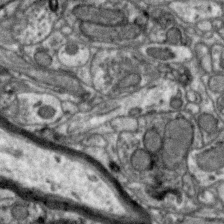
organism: Zebra finch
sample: Brain